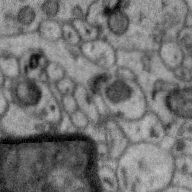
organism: Zebra finch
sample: Brain